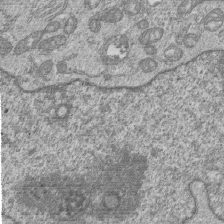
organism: Human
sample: MDA-MB-231 cells